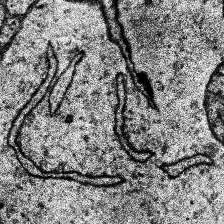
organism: Human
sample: Temporal Lobe